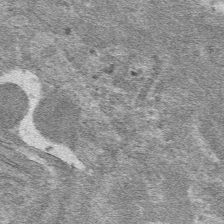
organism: Mouse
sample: Mouse hepatocytes